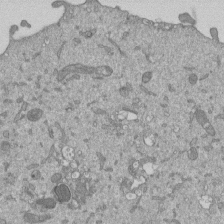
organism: Mouse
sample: ED-1 cell nuclei; centrioles